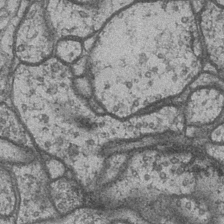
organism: Drosophila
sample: Optic medulla